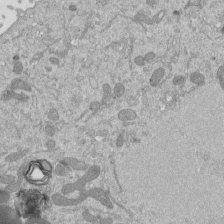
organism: Mouse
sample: ED-1 cell nuclei; centrioles